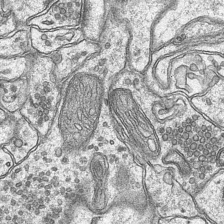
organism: Mouse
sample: CA1 Hippocampus